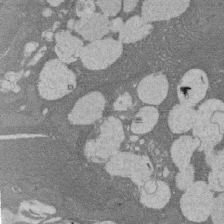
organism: Rat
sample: Salivary granule